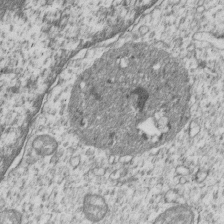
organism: Human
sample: MDA-MB-231 cells